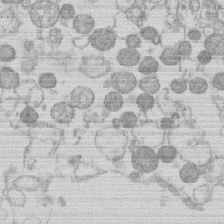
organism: Human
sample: Macrophage cells